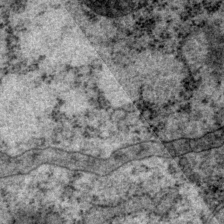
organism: P. pacificus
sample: Pharynx